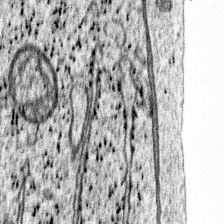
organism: Human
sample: HeLa cells